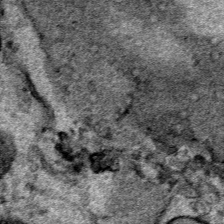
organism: Human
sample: Mitochondria in HCT116 cells